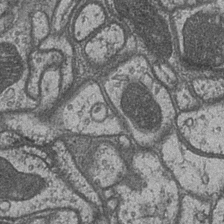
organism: Drosophila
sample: Optic medulla